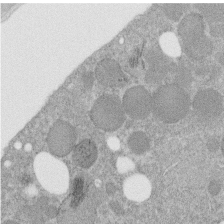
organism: C. elegans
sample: C. elegans embryo early stage